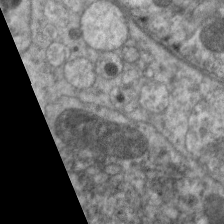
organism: C. elegans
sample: Pharynx